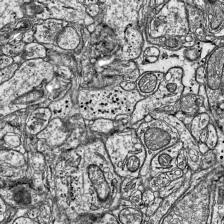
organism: Mouse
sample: Visual Cortex